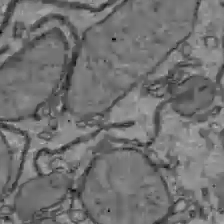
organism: C57BL Mouse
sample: Liver